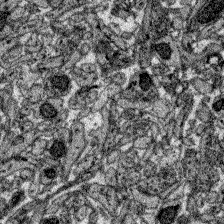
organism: Zebrafish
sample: Larval olfactory bulb